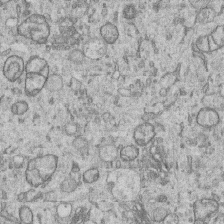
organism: Human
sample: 1205lu cells